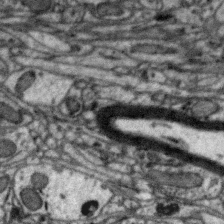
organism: Zebra finch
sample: Brain